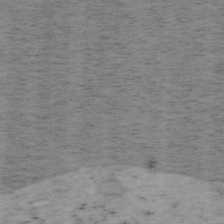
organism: Mouse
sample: OT-I killer T cells with ID8 ovarian cancer cells